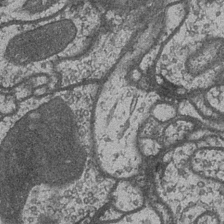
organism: Drosophila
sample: Optic medulla